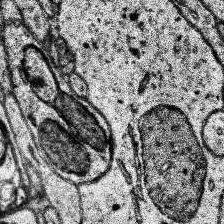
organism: Human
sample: Temporal Lobe